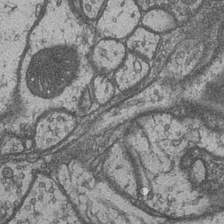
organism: Drosophila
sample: Optic medulla